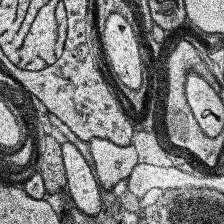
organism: Human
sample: Temporal Lobe